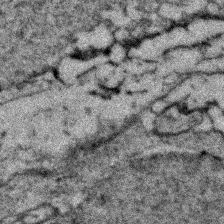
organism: Zebrafish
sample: Zebrafish embryo